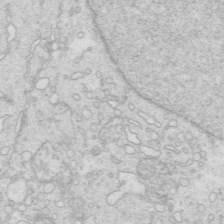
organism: Mouse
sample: Multiciliated cells